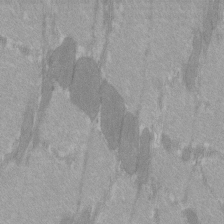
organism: C57BL Mouse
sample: Tibialis anterior muscle cell